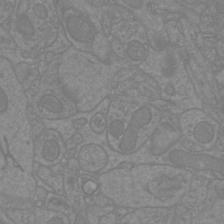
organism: Mouse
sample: Cortical neurons